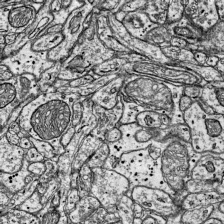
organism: Mouse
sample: Visual Cortex